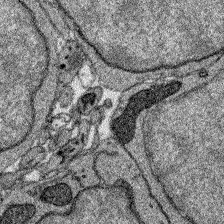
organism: Zebrafish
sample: Larval olfactory bulb